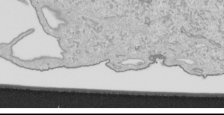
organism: Human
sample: Mitochondria in HCT116 cells